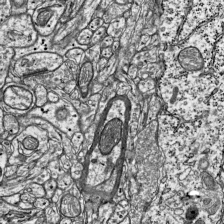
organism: Mouse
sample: Visual Cortex